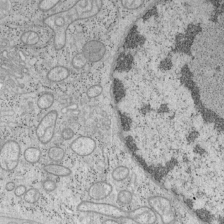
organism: Mouse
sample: OT-I killer T cells with ID8 ovarian cancer cells